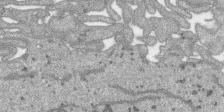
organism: Human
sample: Lung epithelial cells infected with SARS-CoV-2